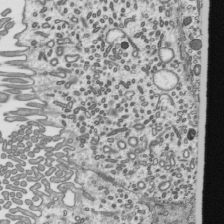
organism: Mouse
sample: Mouse epididymis efferent ductule cilia